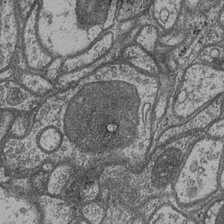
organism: Drosophila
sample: Optic medulla